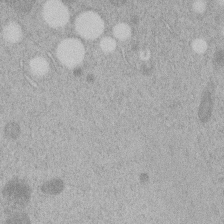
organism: C. elegans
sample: C. elegans embryo early stage